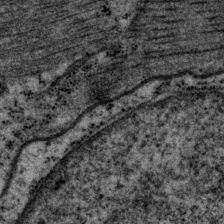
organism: P. pacificus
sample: Pharynx